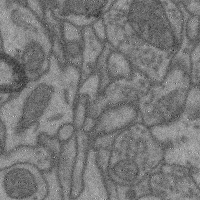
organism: Mouse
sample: Cerebral cortex